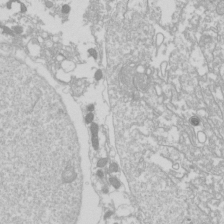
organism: Drosophila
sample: Cell division; meiosis; drosophila spermatocytes